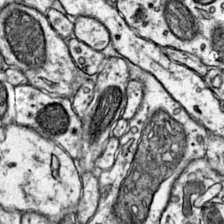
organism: Mouse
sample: Primary visual cortex